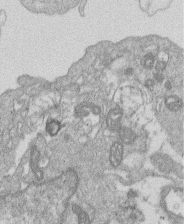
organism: Human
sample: Macrophage cells